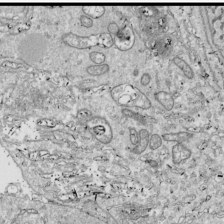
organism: Drosophila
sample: Cell division; meiosis; drosophila spermatocytes